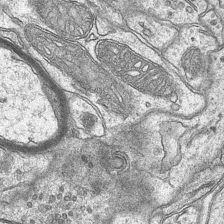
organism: Mouse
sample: CA1 Hippocampus